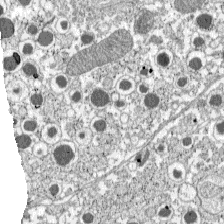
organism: C57BL Mouse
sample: Pancreatic islet